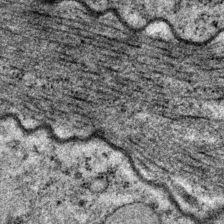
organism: P. pacificus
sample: Pharynx